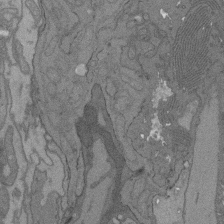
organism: C. elegans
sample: AFD neurons C. elegans